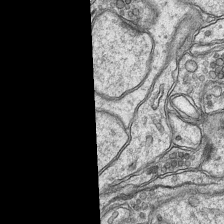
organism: Mouse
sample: CA1 Hippocampus